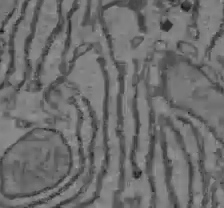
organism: C57BL Mouse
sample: Liver